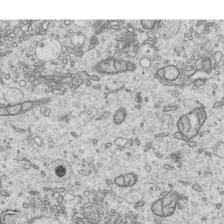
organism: Human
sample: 1205lu cells